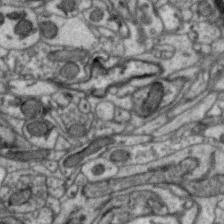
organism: Zebra finch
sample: Brain